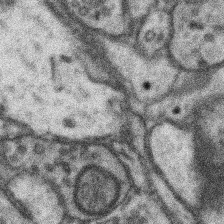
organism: Mouse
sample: Somatosensory cortex neuropil